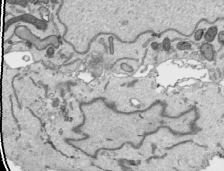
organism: Human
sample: Mitochondria in HCT116 cells